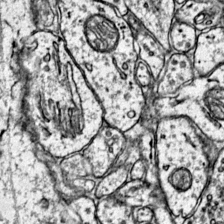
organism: Mouse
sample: Primary visual cortex